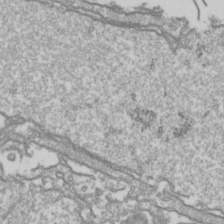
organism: Drosophila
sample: Cell division; meiosis; drosophila spermatocytes